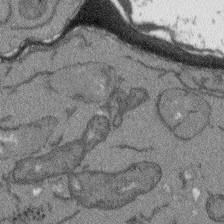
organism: Arabidopsis thaliana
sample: Root tip